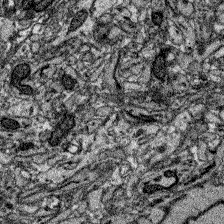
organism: Zebrafish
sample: Larval olfactory bulb